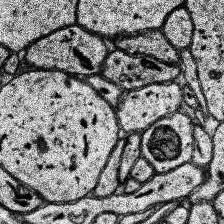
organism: Human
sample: Temporal Lobe